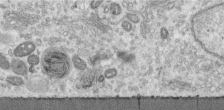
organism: Human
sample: Centriole in RPE cells